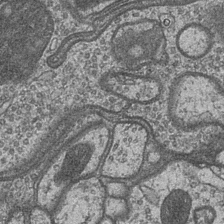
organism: Drosophila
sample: Optic medulla